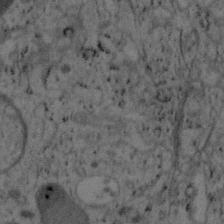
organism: Human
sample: HeLa cells